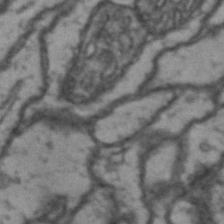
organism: Drosophila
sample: Brain